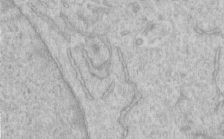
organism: Human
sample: Centriole in RPE cells